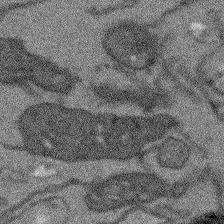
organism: Arabidopsis thaliana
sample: Root tip